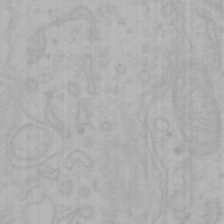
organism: Mouse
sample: Choroid plexus